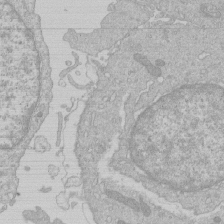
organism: Human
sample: Macrophage cells